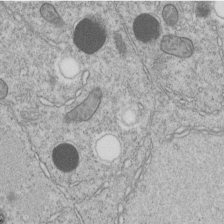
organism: C. elegans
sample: C. elegans embryo early stage